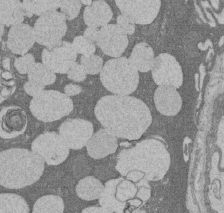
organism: Rat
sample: Salivary granule